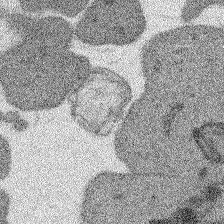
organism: Human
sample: HeLa cells